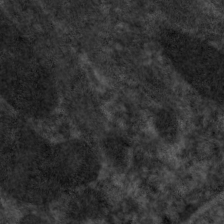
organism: C. elegans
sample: Pharynx